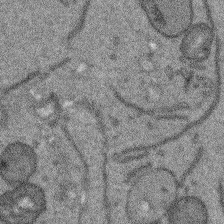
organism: Arabidopsis thaliana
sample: Root tip